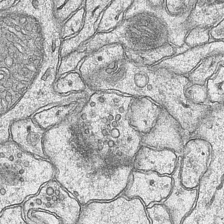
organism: Mouse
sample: CA1 Hippocampus